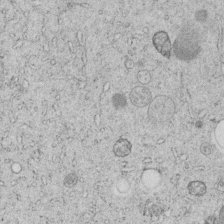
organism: C. elegans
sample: C. elegans embryo early stage